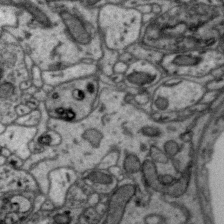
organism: Zebra finch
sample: Brain